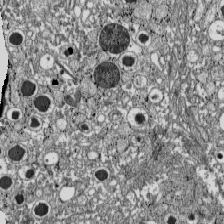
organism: C57BL Mouse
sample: Pancreatic islet